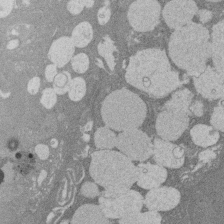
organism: Rat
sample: Salivary granule